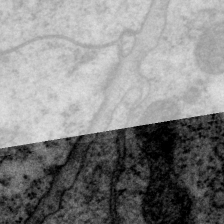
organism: P. pacificus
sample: Pharynx